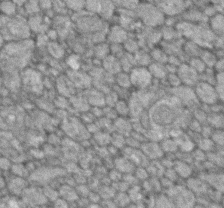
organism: Zebrafish